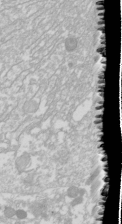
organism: Drosophila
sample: Cell division; meiosis; drosophila spermatocytes